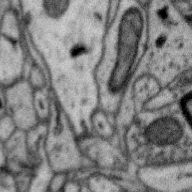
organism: Zebra finch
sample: Brain